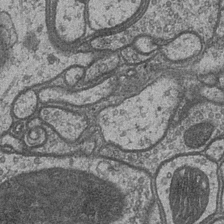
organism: Drosophila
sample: Optic medulla